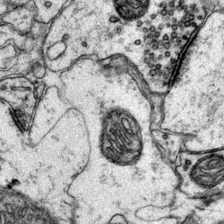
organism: Mouse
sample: Primary visual cortex